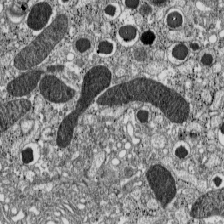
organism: C57BL Mouse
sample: Pancreatic islet